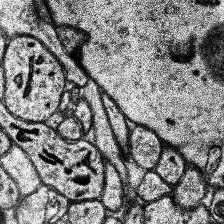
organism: Human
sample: Temporal Lobe